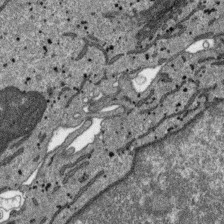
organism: Human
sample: Lung epithelial cells, uninfected (mock) control